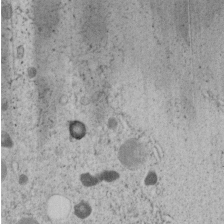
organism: C. elegans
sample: C. elegans embryo early stage